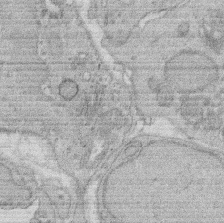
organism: Rat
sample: Salivary granule